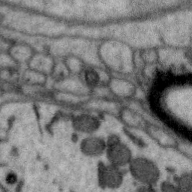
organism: Zebra finch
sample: Brain